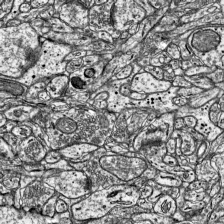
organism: Mouse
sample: Visual Cortex